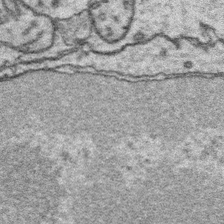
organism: Platynereis dumerilii